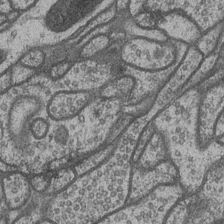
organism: Drosophila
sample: Optic medulla